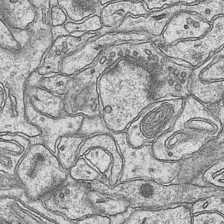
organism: Mouse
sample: CA1 Hippocampus